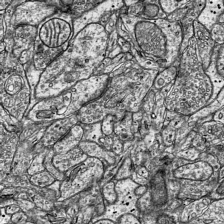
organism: Mouse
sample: Visual Cortex